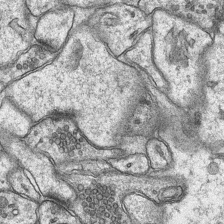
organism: Mouse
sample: CA1 Hippocampus